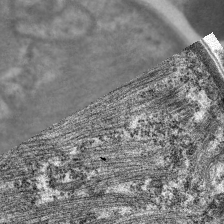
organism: C. elegans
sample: Pharynx